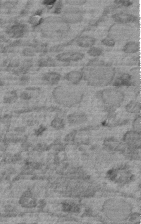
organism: C. elegans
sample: C. elegans embryo early stage